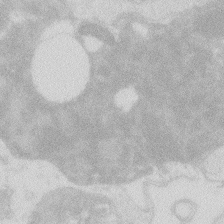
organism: Zebrafish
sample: Macrophage